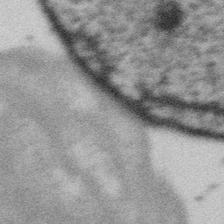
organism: Gemmata obscuriglobus